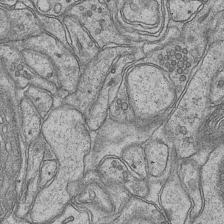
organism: Mouse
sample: CA1 Hippocampus